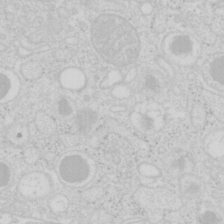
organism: Mouse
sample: Pancreas